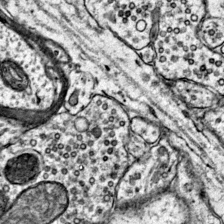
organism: Mouse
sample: Primary visual cortex